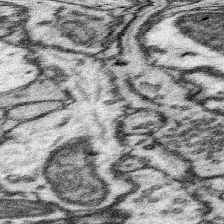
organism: Mouse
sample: Somatosensory cortex neuropil